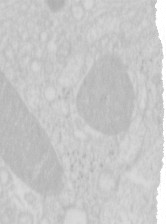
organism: Mouse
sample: Pancreas